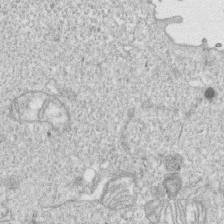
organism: Human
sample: HeLa cell HIV synapse